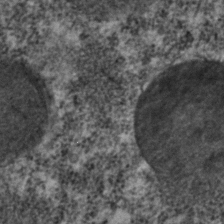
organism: C. elegans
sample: C. elegans embryo